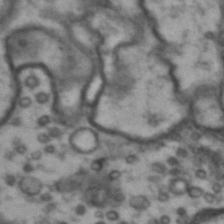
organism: Drosophila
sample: Brain